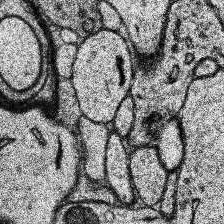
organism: Human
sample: Temporal Lobe